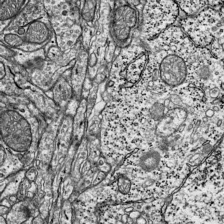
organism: Mouse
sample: Visual Cortex